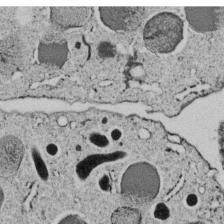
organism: C. elegans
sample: C. elegans embryo early stage